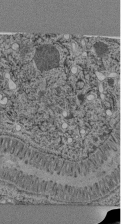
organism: C. elegans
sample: C. elegans pharynx